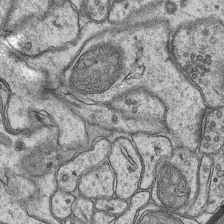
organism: Mouse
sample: CA1 Hippocampus